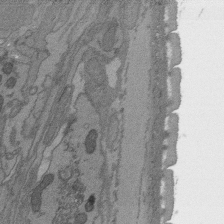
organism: C. elegans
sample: AFD neurons C. elegans